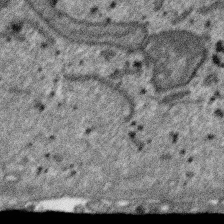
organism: Human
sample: Lung epithelial cells infected with SARS-CoV-2